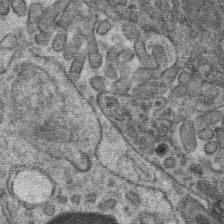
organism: Mouse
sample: Mouse hepatocytes